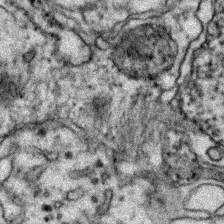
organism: Zebrafish